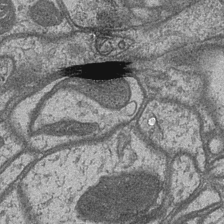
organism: Drosophila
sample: Optic medulla